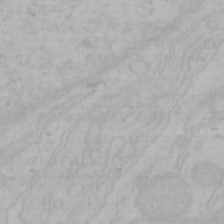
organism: Mouse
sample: Choroid plexus